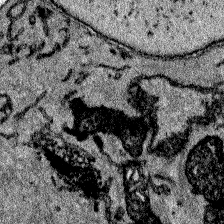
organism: Zebrafish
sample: Larval olfactory bulb